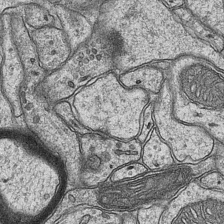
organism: Mouse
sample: CA1 Hippocampus